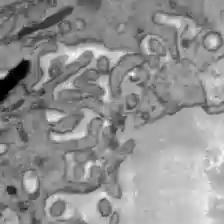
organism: C57BL Mouse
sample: Liver